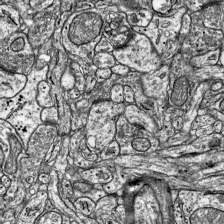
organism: Mouse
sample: Visual Cortex